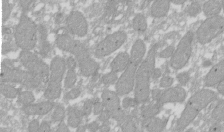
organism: Xenopus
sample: Cilia; centrioles in frog embryo cells